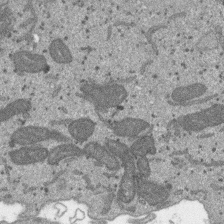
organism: Human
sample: Lung epithelial cells infected with SARS-CoV-2